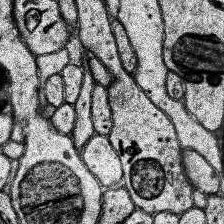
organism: Human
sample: Temporal Lobe